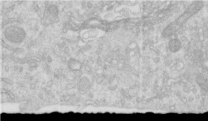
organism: Human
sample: Centriole in RPE cells